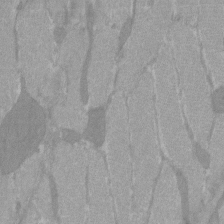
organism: C57BL Mouse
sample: Tibialis anterior muscle cell